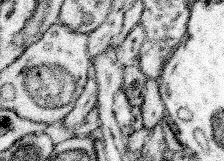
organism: Mouse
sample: Somatosensory cortex neuropil